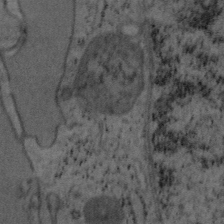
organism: Human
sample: HeLa cells